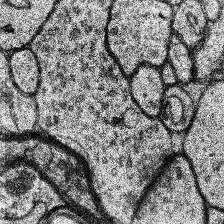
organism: Human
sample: Temporal Lobe